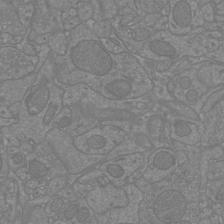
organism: Mouse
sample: Cortical neurons